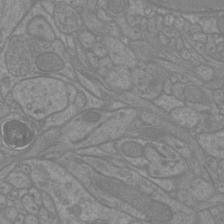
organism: Mouse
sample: Cortical neurons